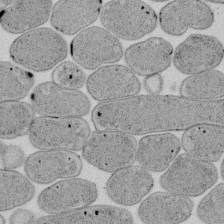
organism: E. coli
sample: Bacterial nucleoid